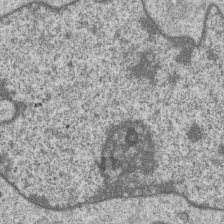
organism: Human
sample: MDA-MB-231 cells